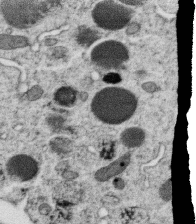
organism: C. elegans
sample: C. elegans oocyte; sperm cells